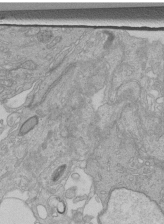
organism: Human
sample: Retinal organoid Rod and Cone cells